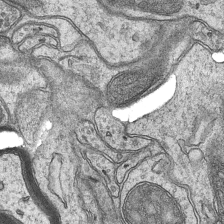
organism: Mouse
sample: CA1 Hippocampus